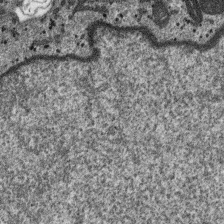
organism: Human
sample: Lung epithelial cells infected with SARS-CoV-2